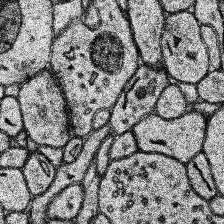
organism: Human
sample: Temporal Lobe